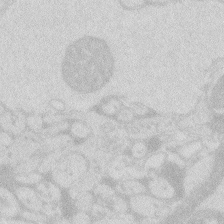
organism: Zebrafish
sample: Macrophage